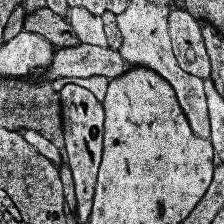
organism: Human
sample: Temporal Lobe